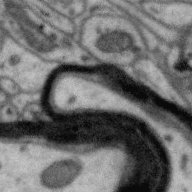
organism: Zebra finch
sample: Brain